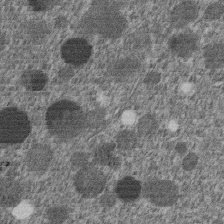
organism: C. elegans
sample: C. elegans embryo early stage